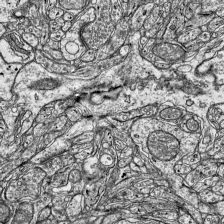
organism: Mouse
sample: Visual Cortex